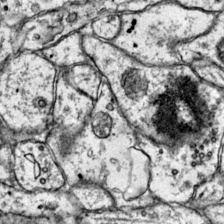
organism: Mouse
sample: Primary visual cortex